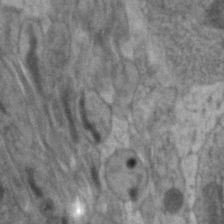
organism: Zebrafish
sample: Zebrafish embryo